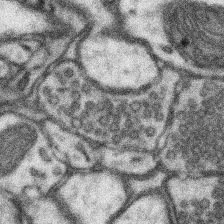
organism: Mouse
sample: Somatosensory cortex neuropil